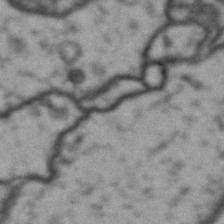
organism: Drosophila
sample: Brain